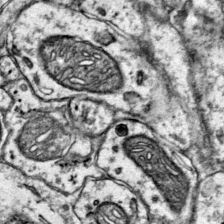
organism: Mouse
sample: Primary visual cortex